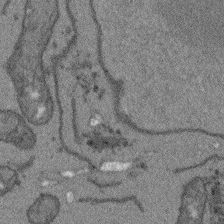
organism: Arabidopsis thaliana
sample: Root tip